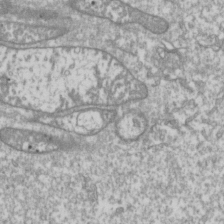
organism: Drosophila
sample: Cell division; meiosis; drosophila spermatocytes